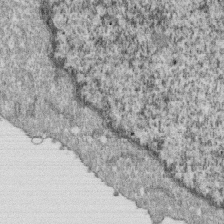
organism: African green monkey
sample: Vero E6 cells infected with SARS-CoV-2